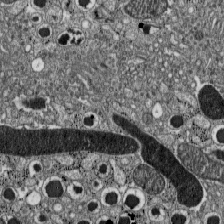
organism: C57BL Mouse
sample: Pancreatic islet